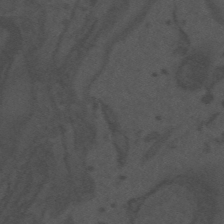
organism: Mouse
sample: Suprachiasmatic nucleus